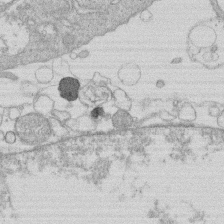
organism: Human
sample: Macrophage cells